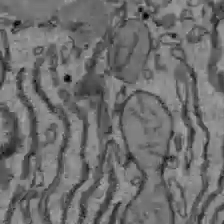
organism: C57BL Mouse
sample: Liver